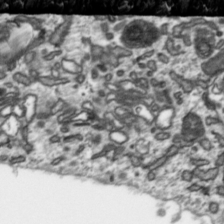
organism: Toxoplasma gondii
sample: Parasites in a vacuole inside a host cell